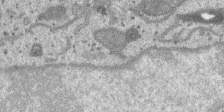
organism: Human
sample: Lung epithelial cells infected with SARS-CoV-2